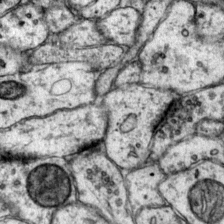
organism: Mouse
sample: Primary visual cortex